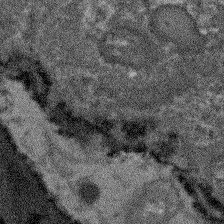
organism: Arabidopsis thaliana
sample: Root tip